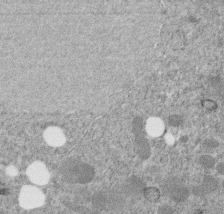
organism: C. elegans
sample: C. elegans embryo early stage